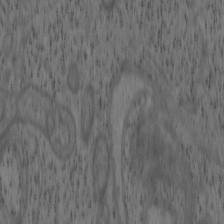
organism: Human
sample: HeLa cells